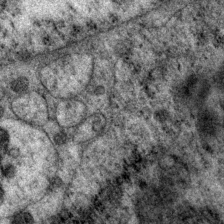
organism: P. pacificus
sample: Pharynx